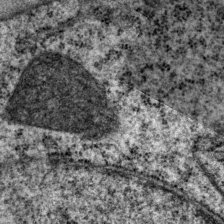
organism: P. pacificus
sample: Pharynx